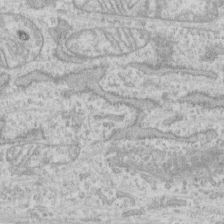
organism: Human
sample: CRL-1474